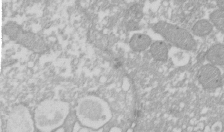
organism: Xenopus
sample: Cilia; centrioles in frog embryo cells